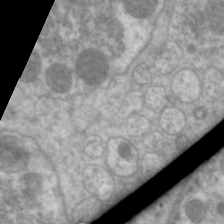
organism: C. elegans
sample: Pharynx